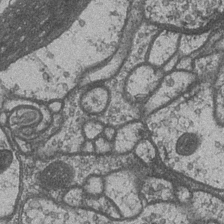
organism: Drosophila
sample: Optic medulla